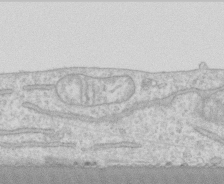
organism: Human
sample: CRL-1474